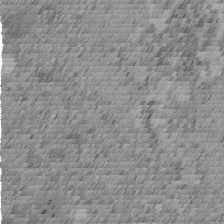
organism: C. elegans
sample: C. elegans embryo early stage